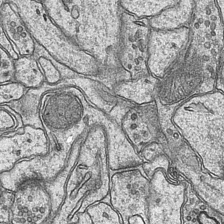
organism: Mouse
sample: CA1 Hippocampus